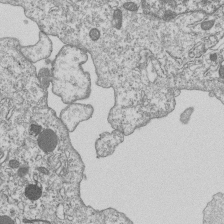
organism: Human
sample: MDA-MB-231 cells